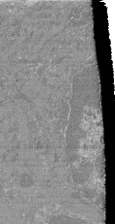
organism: Mouse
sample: Glomerulus